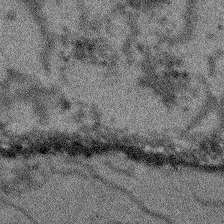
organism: Arabidopsis thaliana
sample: Root tip